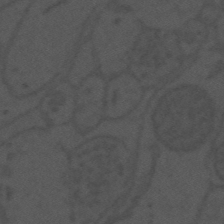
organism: Mouse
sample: Suprachiasmatic nucleus